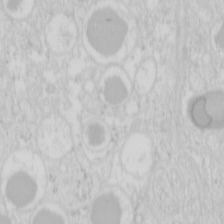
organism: Mouse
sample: Pancreas